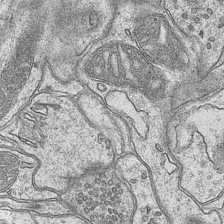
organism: Mouse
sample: CA1 Hippocampus